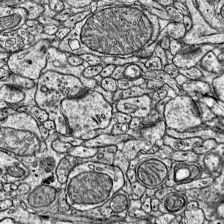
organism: Mouse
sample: Visual Cortex